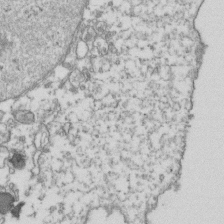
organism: Human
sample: Activated Jurkat CD4+ T cells